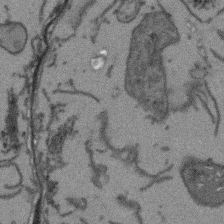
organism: Arabidopsis thaliana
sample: Root tip